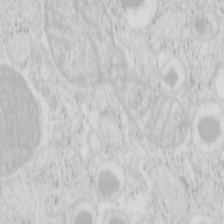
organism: Mouse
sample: Pancreas